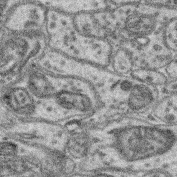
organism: Mouse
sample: Retina